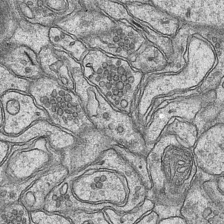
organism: Mouse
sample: CA1 Hippocampus